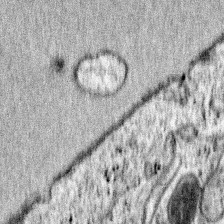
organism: Human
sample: HeLa cells